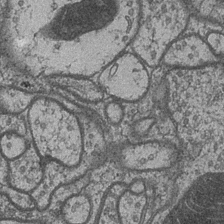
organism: Drosophila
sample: Optic medulla